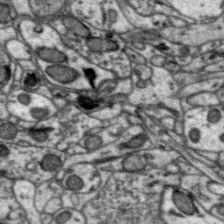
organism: Zebra finch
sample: Brain